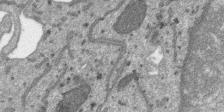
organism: Human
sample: Lung epithelial cells infected with SARS-CoV-2